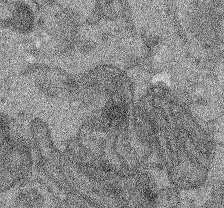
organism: Human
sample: HeLa cells